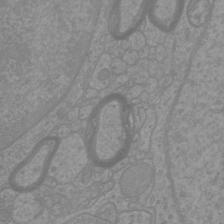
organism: Mouse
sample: Cortical neurons